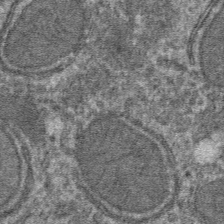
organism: Mouse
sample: Mouse hepatocytes